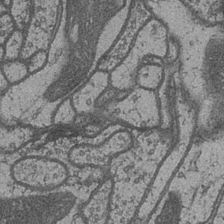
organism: Drosophila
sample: Optic medulla